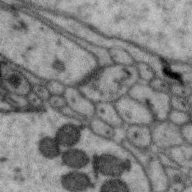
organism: Zebra finch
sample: Brain